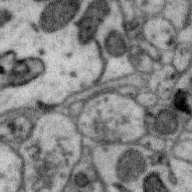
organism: Zebra finch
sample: Brain